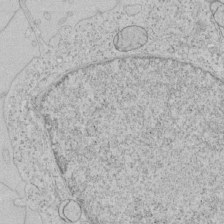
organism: Human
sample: Mitochondria in HCT116 cells